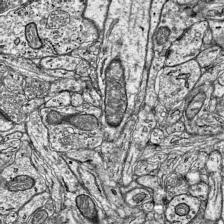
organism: Mouse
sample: Visual Cortex